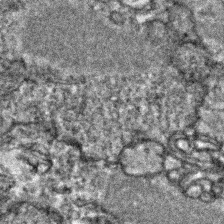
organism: Zebrafish